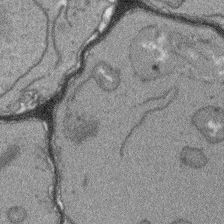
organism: Arabidopsis thaliana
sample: Root tip